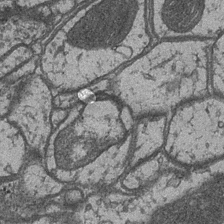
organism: Drosophila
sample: Optic medulla